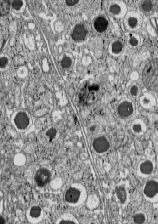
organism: C57BL Mouse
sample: Pancreatic islet